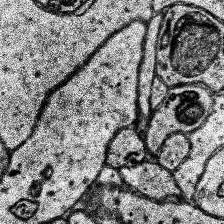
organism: Human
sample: Temporal Lobe